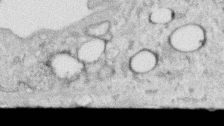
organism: Human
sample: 1205lu cells